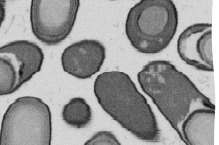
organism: B. subtilis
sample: Bacterial spore